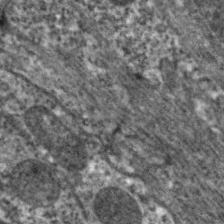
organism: C. elegans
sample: Pharynx